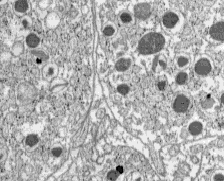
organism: C57BL Mouse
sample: Pancreatic islet